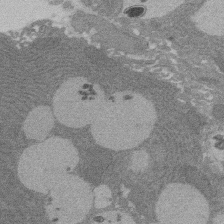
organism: Rat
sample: Salivary granule